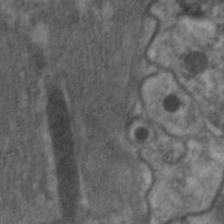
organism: C. elegans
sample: Pharynx